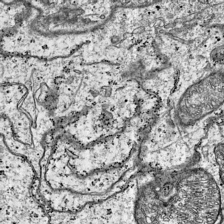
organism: Mouse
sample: Visual Cortex